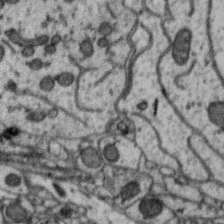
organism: Zebra finch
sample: Brain